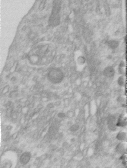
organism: Human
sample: Centriole in RPE cells